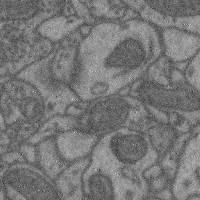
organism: Mouse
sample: Cerebral cortex